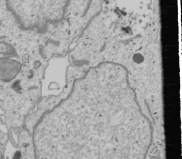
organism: Human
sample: Mitochondria in U2OS cells